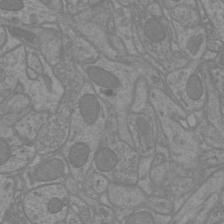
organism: Mouse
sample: Cortical neurons